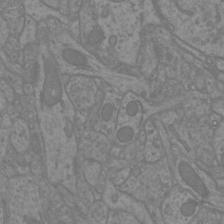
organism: Mouse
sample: Cortical neurons